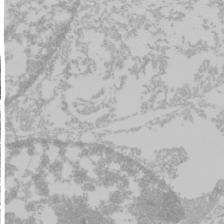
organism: Mouse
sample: Cancer cell death in ED-1 cells